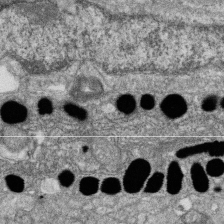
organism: Zebrafish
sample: Cilia; retinal pigment epithelium